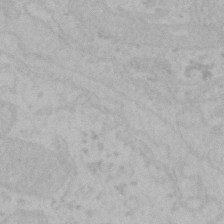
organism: Mouse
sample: Choroid plexus